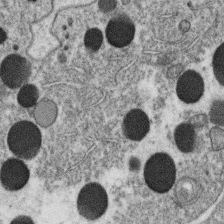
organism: C. elegans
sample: C. elegans oocyte; sperm cells